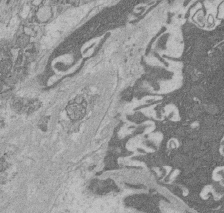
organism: Rat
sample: Salivary granule